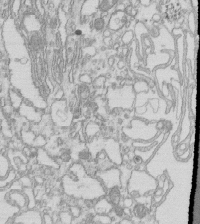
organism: Mouse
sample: Macrophages